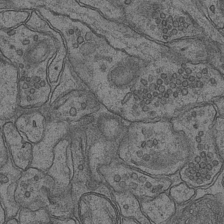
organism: Mouse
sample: CA1 Hippocampus